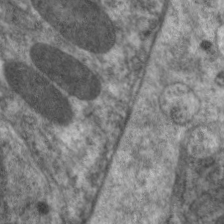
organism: C. elegans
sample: Pharynx